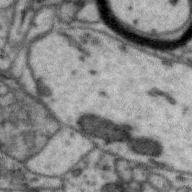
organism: Zebra finch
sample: Brain